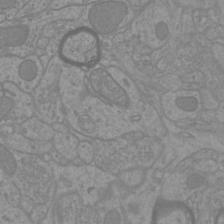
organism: Mouse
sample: Cortical neurons